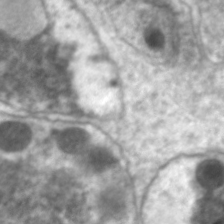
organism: C. elegans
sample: Pharynx